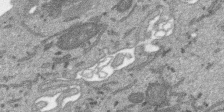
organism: Human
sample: Lung epithelial cells infected with SARS-CoV-2